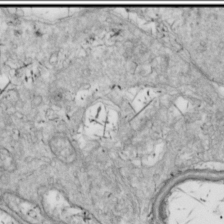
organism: Drosophila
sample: Cell division; meiosis; drosophila spermatocytes